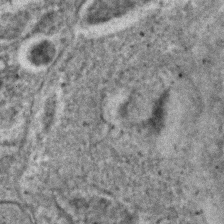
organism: C. elegans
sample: C. elegans embryo